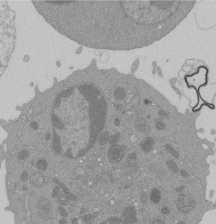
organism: Mouse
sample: Activated Pmel transgenic CD8+ T Cells